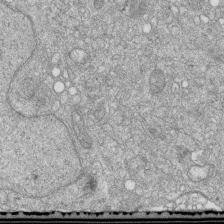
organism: Human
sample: HeLa cell HIV synapse